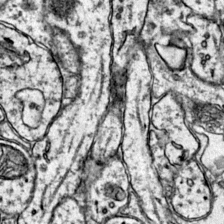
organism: Mouse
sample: Primary visual cortex